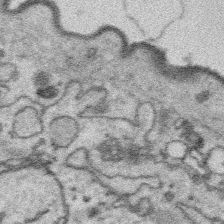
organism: Platynereis dumerilii